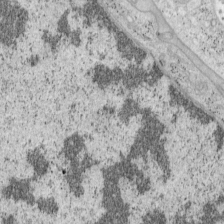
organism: Mouse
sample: OT-I killer T cells with ID8 ovarian cancer cells